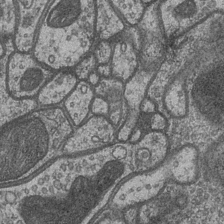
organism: Drosophila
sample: Optic medulla